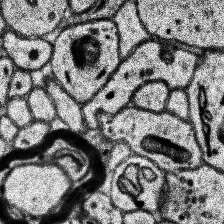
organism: Human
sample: Temporal Lobe